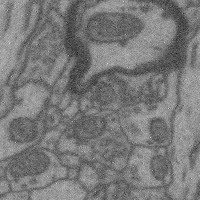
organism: Mouse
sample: Cerebral cortex